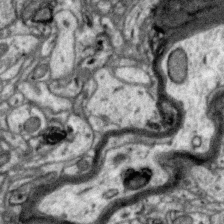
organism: Zebra finch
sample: Brain